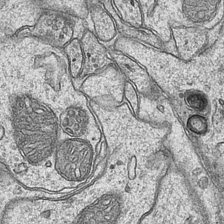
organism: Mouse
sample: CA1 Hippocampus